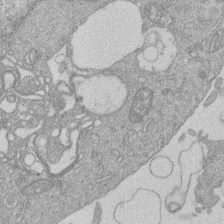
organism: Human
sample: Macrophage cells